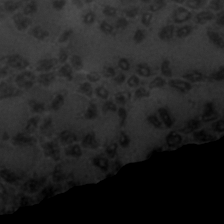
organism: C. elegans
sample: C. elegans embryo